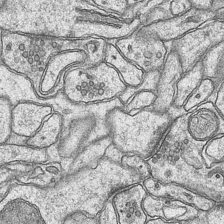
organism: Mouse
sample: CA1 Hippocampus